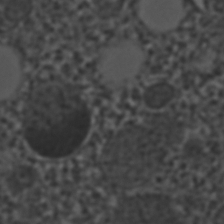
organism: C. elegans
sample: C. elegans embryo